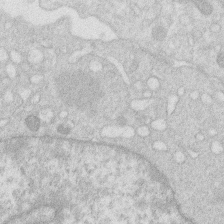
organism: Human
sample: Macrophage cells